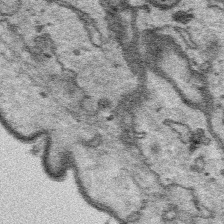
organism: Platynereis dumerilii